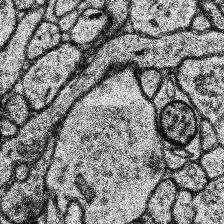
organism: Human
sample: Temporal Lobe